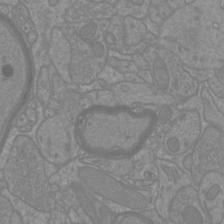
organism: Mouse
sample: Cortical neurons